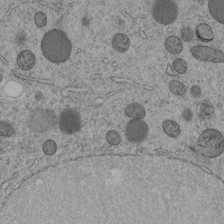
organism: C. elegans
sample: C. elegans embryo early stage